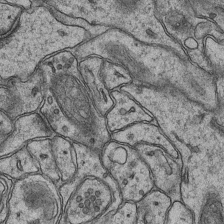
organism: Mouse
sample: CA1 Hippocampus